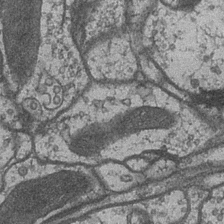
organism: Drosophila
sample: Optic medulla